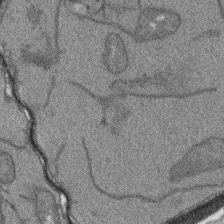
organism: Arabidopsis thaliana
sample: Root tip